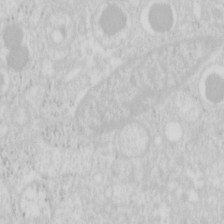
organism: Mouse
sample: Pancreas